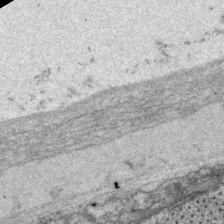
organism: P. pacificus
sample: Pharynx